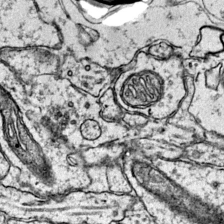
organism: Mouse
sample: Primary visual cortex